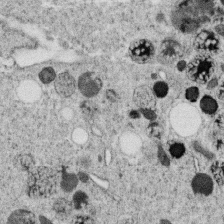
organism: C. elegans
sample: C. elegans oocyte; sperm cells